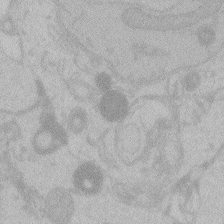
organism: Zebrafish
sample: Macrophage infected with Toxoplasma gondii